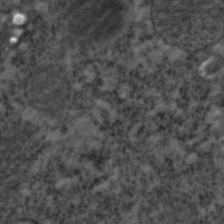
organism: C. elegans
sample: C. elegans embryo